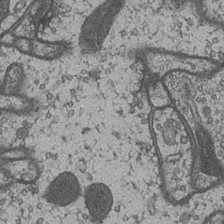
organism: Drosophila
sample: Optic medulla